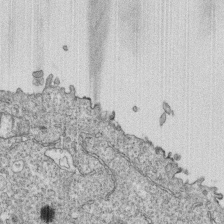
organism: Human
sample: HeLa cell HIV synapse